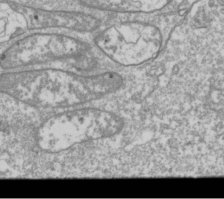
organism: Drosophila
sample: Cell division; meiosis; drosophila spermatocytes